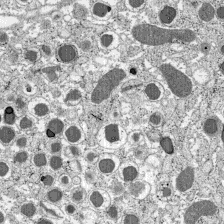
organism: C57BL Mouse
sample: Pancreatic islet